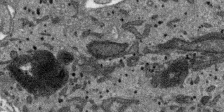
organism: Human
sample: Lung epithelial cells, uninfected (mock) control